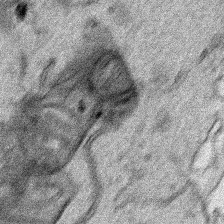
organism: Human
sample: Mitochondria in HCT116 cells